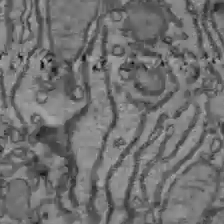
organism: C57BL Mouse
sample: Liver